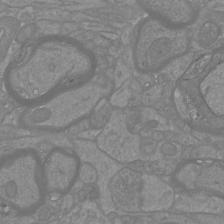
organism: Mouse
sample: Cortical neurons